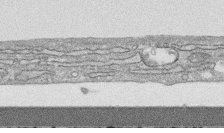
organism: Human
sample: CRL-1474